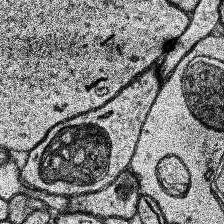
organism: Human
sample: Temporal Lobe